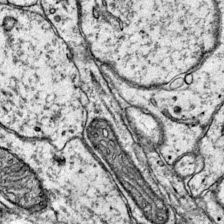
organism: Mouse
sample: Primary visual cortex